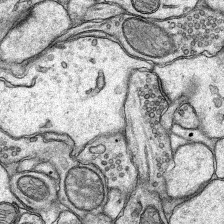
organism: Rat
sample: Hippocampus